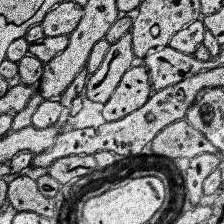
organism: Human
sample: Temporal Lobe